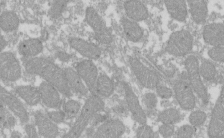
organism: Xenopus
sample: Cilia; centrioles in frog embryo cells